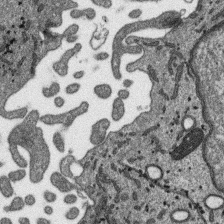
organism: Human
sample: Lung epithelial cells infected with SARS-CoV-2